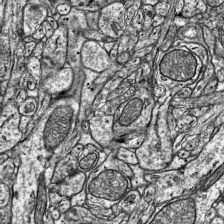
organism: Mouse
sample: Visual Cortex